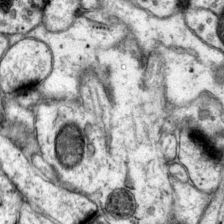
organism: Mouse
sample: Primary visual cortex